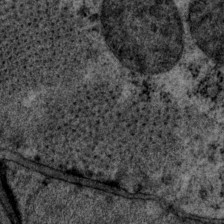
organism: P. pacificus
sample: Pharynx